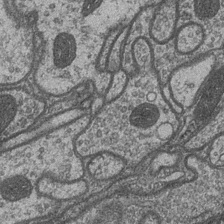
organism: Drosophila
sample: Optic medulla